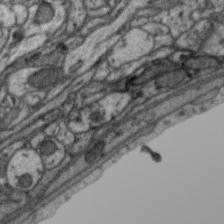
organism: Zebra finch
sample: Brain